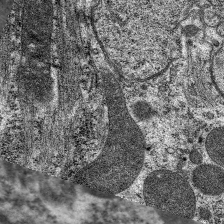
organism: C. elegans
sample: Pharynx